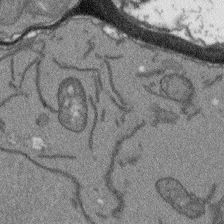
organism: Arabidopsis thaliana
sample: Root tip